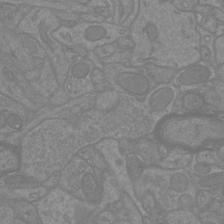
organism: Mouse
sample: Cortical neurons